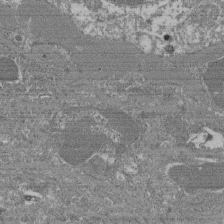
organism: Mouse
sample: Glomerulus